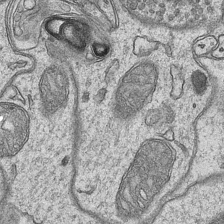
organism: Mouse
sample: CA1 Hippocampus